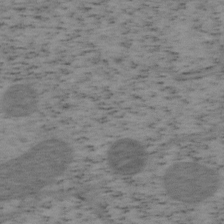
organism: Mouse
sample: OT-I killer T cells with ID8 ovarian cancer cells